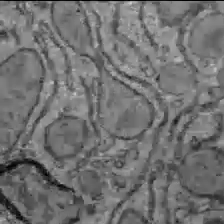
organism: C57BL Mouse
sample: Liver